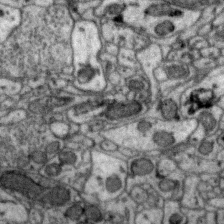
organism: Zebra finch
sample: Brain